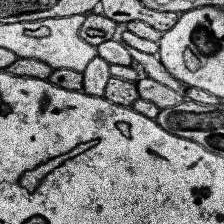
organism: Human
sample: Temporal Lobe